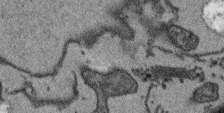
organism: Arabidopsis thaliana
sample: Root tip